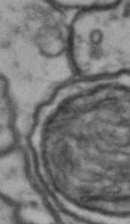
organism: Drosophila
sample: Brain